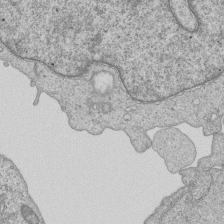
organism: Human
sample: MDA-MB-231 cells